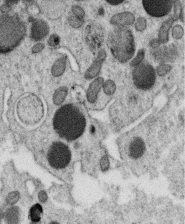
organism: C. elegans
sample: C. elegans oocyte; sperm cells